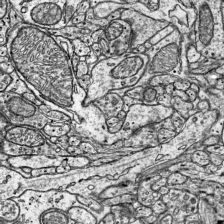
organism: Mouse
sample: Visual Cortex